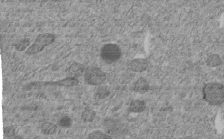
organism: C. elegans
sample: C. elegans embryo early stage